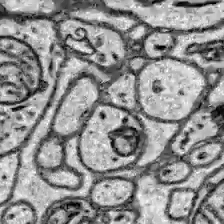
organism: Zebrafish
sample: Brain